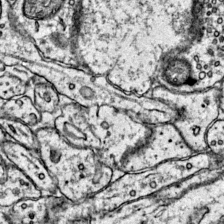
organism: Mouse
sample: Primary visual cortex